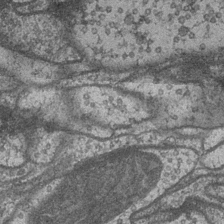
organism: Drosophila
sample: Optic medulla